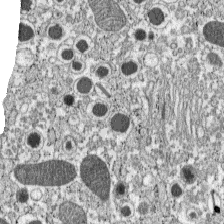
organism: C57BL Mouse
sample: Pancreatic islet